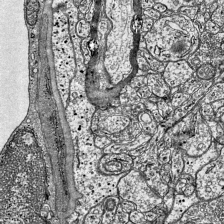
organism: Mouse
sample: Visual Cortex